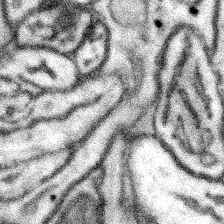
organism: Mouse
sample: Somatosensory cortex neuropil